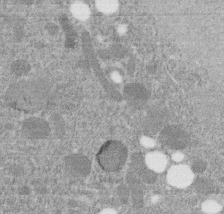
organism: C. elegans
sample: C. elegans embryo early stage